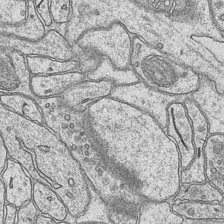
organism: Mouse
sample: CA1 Hippocampus